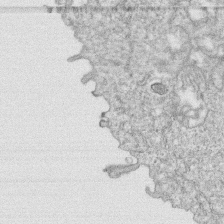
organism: Human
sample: HeLa cell HIV synapse